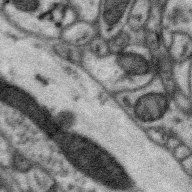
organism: Zebra finch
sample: Brain